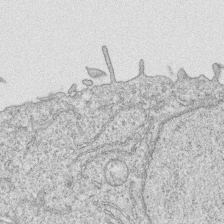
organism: Human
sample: HeLa cell HIV synapse